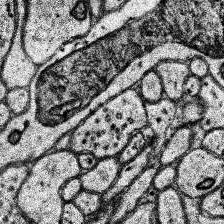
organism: Human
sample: Temporal Lobe